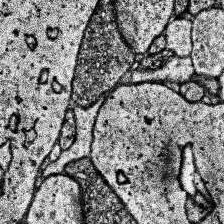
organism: Human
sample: Temporal Lobe